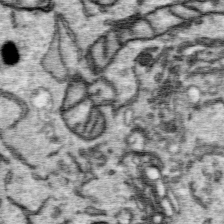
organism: Human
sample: HeLa cells